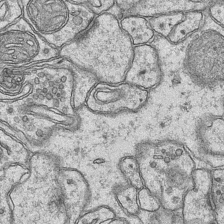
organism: Mouse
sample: CA1 Hippocampus